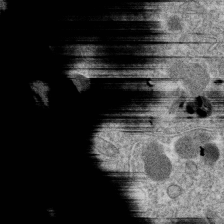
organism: C. elegans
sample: C. elegans oocyte; sperm cells